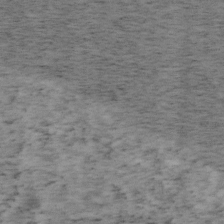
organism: Mouse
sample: OT-I killer T cells with ID8 ovarian cancer cells